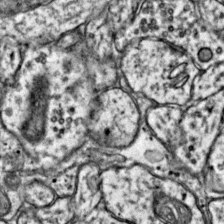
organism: Mouse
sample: Primary visual cortex